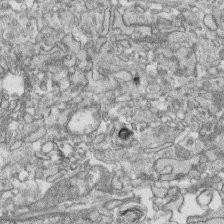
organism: Human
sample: CRL-1474